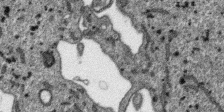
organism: Human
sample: Lung epithelial cells infected with SARS-CoV-2